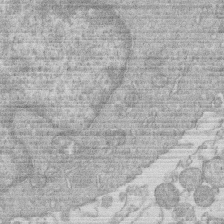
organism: Human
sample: Macrophage cells